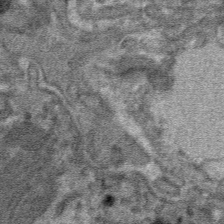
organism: Mouse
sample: Mouse hepatocytes